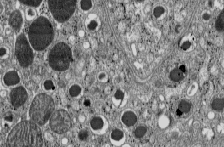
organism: C57BL Mouse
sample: Pancreatic islet